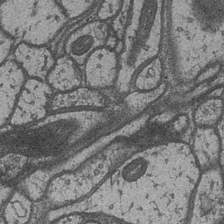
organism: Drosophila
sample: Optic medulla